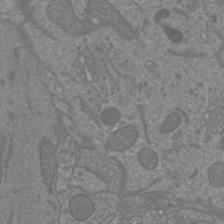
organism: Mouse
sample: Cortical neurons